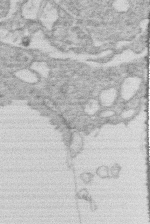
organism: Human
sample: Macrophage cells